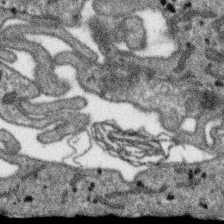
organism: Human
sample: Lung epithelial cells infected with SARS-CoV-2